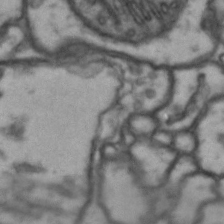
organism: Drosophila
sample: Brain